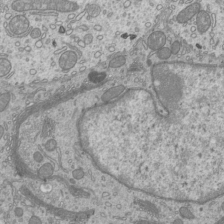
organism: Mouse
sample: Cilia; mouse epididymis